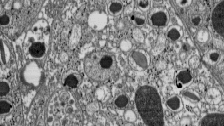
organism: C57BL Mouse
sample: Pancreatic islet